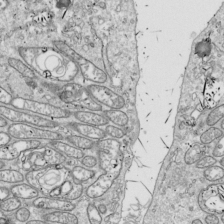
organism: Drosophila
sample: Cell division; meiosis; drosophila spermatocytes